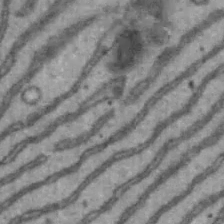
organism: Mouse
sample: Liver